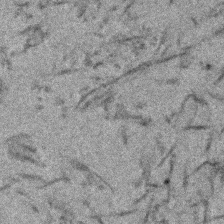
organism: Human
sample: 1205lu cells